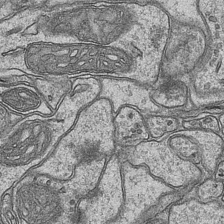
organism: Mouse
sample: CA1 Hippocampus